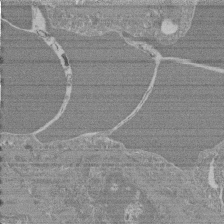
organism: Mouse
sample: Glomerulus